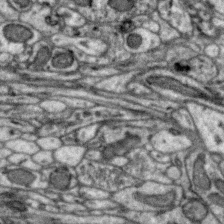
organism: Zebra finch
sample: Brain